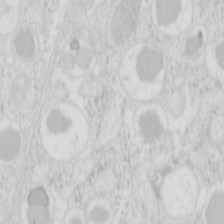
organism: Mouse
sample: Pancreas